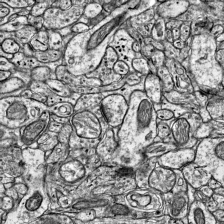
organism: Mouse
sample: Visual Cortex